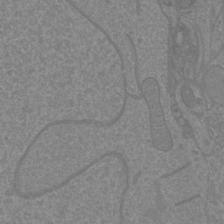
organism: Mouse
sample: Cortical neurons